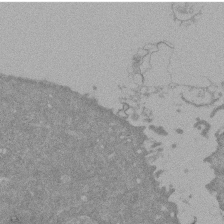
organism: Mouse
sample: ED-1 cell nuclei; centrioles